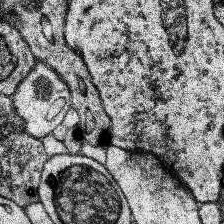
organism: Human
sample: Temporal Lobe